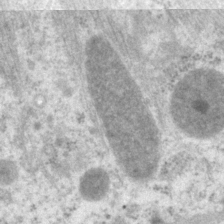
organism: P. pacificus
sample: Pharynx